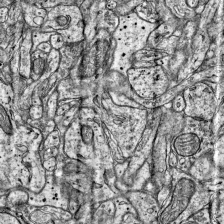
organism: Mouse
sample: Visual Cortex